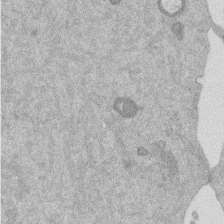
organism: Mouse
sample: Dividing mouse embryo 1 cell stage